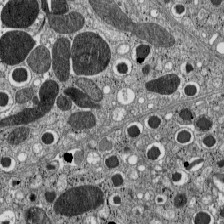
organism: C57BL Mouse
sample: Pancreatic islet